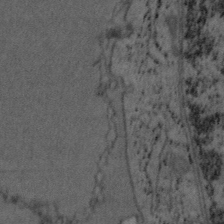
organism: Human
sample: HeLa cells